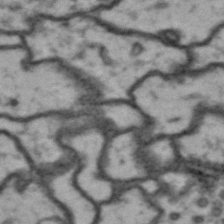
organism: Drosophila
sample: Brain